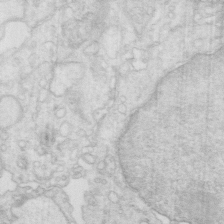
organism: Mouse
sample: Multiciliated cells